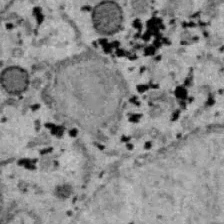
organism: Mouse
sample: Liver from an obese (ob/ob) mouse